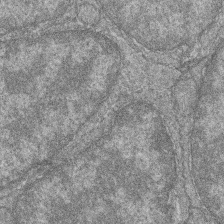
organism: Zebrafish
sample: Cilia; retinal pigment epithelium